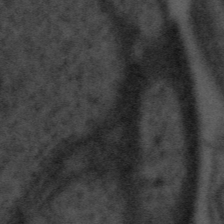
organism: Tuwongella immobilis